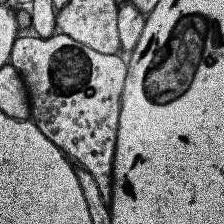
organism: Human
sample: Temporal Lobe